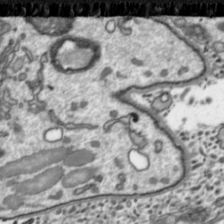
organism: Toxoplasma gondii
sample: Parasites in a vacuole inside a host cell